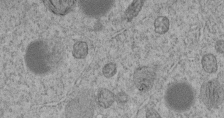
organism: C. elegans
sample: C. elegans embryo early stage